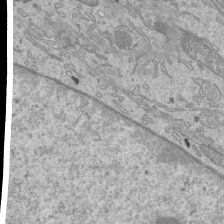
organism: Mouse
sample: Cilia; mouse epididymis